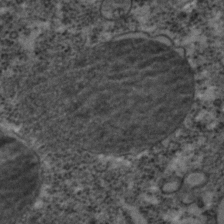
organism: C. elegans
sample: C. elegans embryo